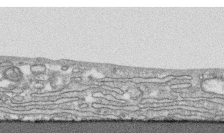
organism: Human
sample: CRL-1474